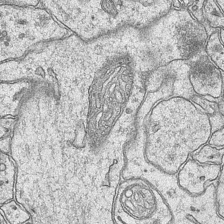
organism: Mouse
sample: CA1 Hippocampus